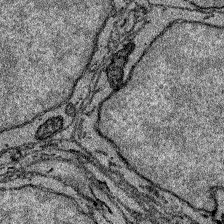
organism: Zebrafish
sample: Larval olfactory bulb